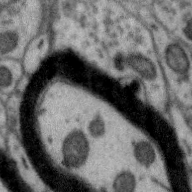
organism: Zebra finch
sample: Brain